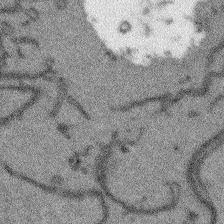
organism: Arabidopsis thaliana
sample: Root tip